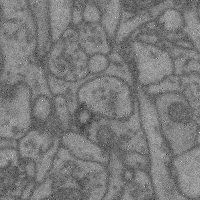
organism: Mouse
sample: Cerebral cortex